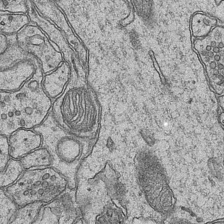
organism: Mouse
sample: CA1 Hippocampus